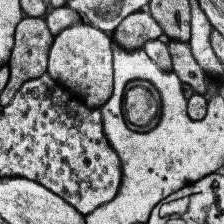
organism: Human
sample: Temporal Lobe